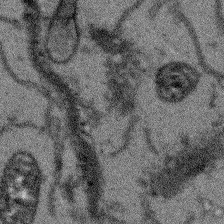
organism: Arabidopsis thaliana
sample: Root tip